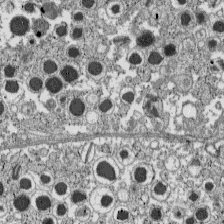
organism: C57BL Mouse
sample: Pancreatic islet